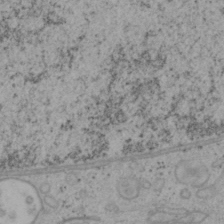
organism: Human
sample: HeLa cells